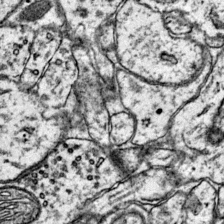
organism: Mouse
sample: Primary visual cortex